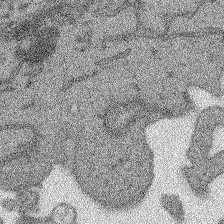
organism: Human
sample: HeLa cells